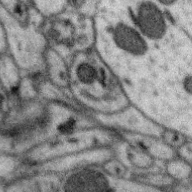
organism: Zebra finch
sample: Brain